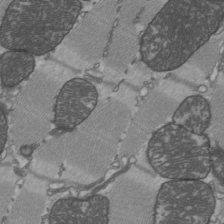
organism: C57BL Mouse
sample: Heart